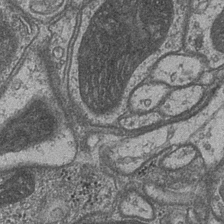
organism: Drosophila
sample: Optic medulla